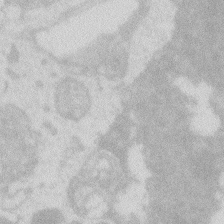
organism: Zebrafish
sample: Macrophage